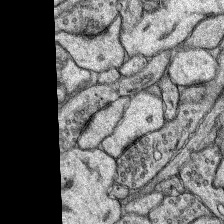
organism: Rat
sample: Hippocampus